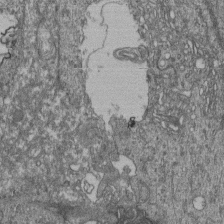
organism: Human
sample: Retinal organoid Rod and Cone cells